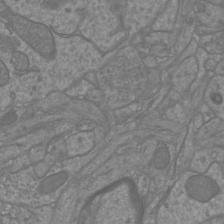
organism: Mouse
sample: Cortical neurons